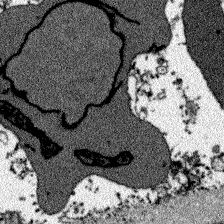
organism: Zebrafish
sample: Larval olfactory bulb